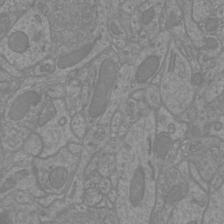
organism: Mouse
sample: Cortical neurons